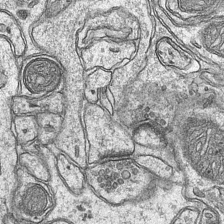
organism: Mouse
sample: CA1 Hippocampus